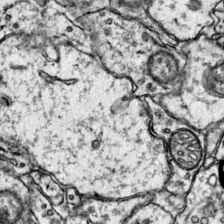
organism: Mouse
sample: Primary visual cortex